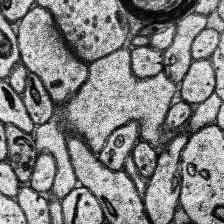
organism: Human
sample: Temporal Lobe